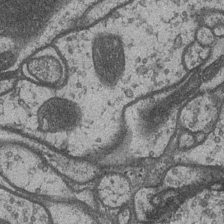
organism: Drosophila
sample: Optic medulla